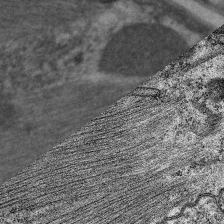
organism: C. elegans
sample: Pharynx